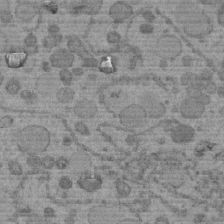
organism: C. elegans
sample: C. elegans embryo early stage